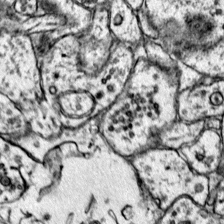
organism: Mouse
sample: Primary visual cortex